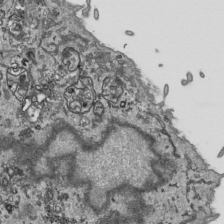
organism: Human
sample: Mitochondria in HCT116 cells